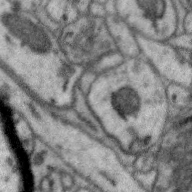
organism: Zebra finch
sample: Brain